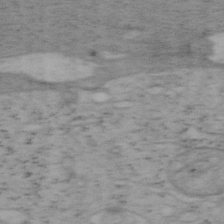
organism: Mouse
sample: OT-I killer T cells with ID8 ovarian cancer cells